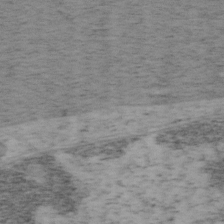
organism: Mouse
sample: OT-I killer T cells with ID8 ovarian cancer cells